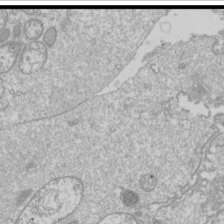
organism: Drosophila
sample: Cell division; meiosis; drosophila spermatocytes